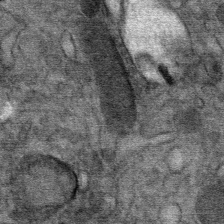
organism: Mouse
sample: Mouse Salivary gland